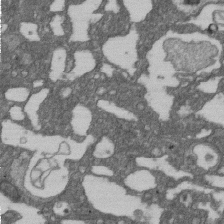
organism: Drosophila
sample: Nephrocyte